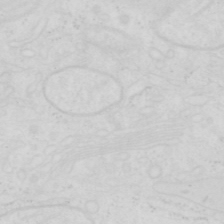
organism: Human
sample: SUM-159 cell